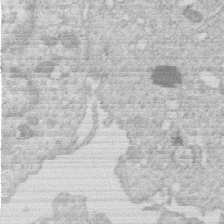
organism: Human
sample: Macrophage cells